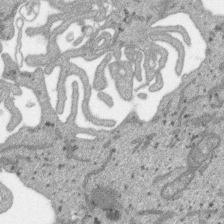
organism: Human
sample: Lung epithelial cells infected with SARS-CoV-2